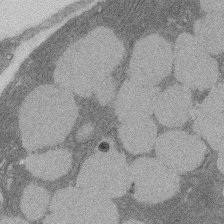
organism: Rat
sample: Salivary granule